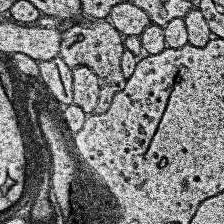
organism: Human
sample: Temporal Lobe